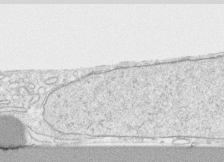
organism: Human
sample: CRL-1474